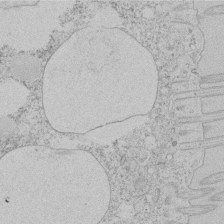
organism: Tetrahymena